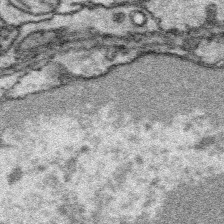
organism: Platynereis dumerilii